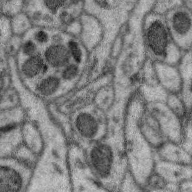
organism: Zebra finch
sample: Brain